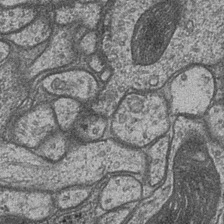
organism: Drosophila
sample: Optic medulla